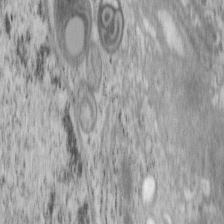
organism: Human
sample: HeLa cells